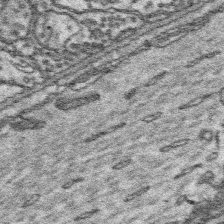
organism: Platynereis dumerilii